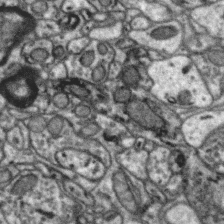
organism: Zebra finch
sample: Brain